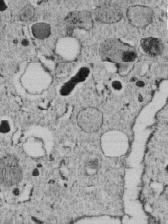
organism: C. elegans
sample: C. elegans embryo early stage